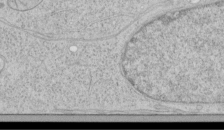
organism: Human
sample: Mitochondria in HCT116 cells